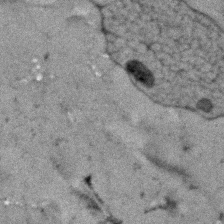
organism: Human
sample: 1205lu cells